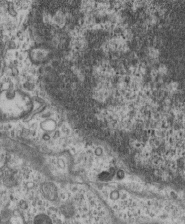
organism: Mouse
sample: Centriole in ependymal cells